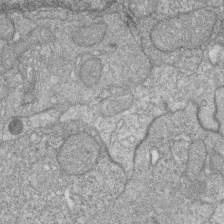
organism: Zebrafish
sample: Cilia; retinal pigment epithelium